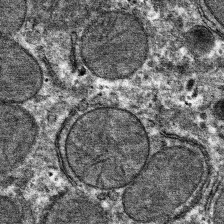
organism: Mouse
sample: Mouse hepatocytes